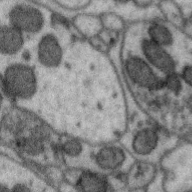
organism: Zebra finch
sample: Brain